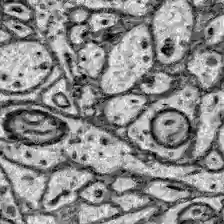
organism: Zebrafish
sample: Brain